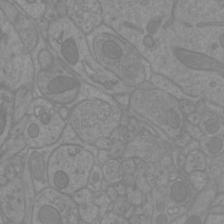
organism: Mouse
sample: Cortical neurons